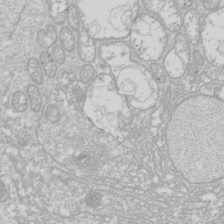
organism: Drosophila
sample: Cell division; meiosis; drosophila spermatocytes